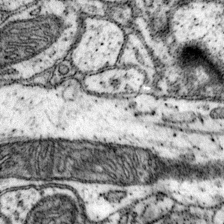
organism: Mouse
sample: Primary visual cortex